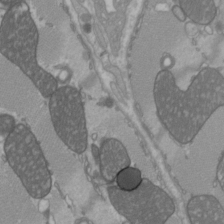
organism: C57BL Mouse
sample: Heart